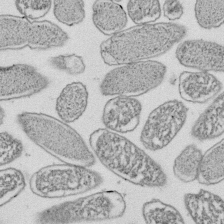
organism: E. coli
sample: Bacterial nucleoid